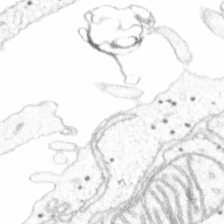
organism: Human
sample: HeLa cells